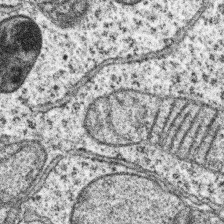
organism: Human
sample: HeLa cells